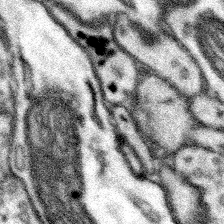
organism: Mouse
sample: Somatosensory cortex neuropil